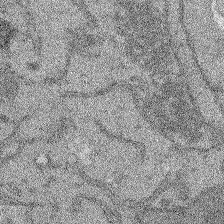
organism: Human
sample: HeLa cells